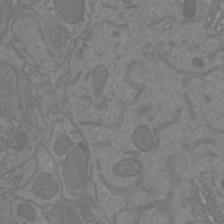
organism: Mouse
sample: Cortical neurons